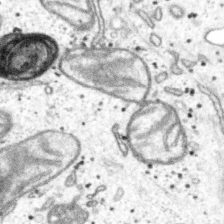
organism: Human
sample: HeLa cells